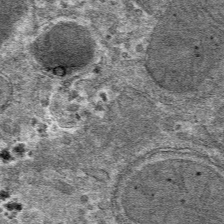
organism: Mouse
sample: Mouse hepatocytes